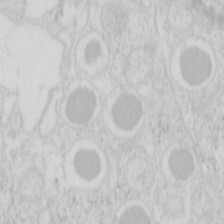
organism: Mouse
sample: Pancreas